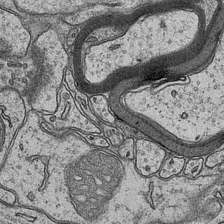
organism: Mouse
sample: CA1 Hippocampus